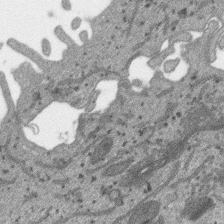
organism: Human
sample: Lung epithelial cells infected with SARS-CoV-2